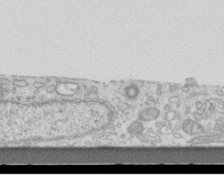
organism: Mouse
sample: Centriole in ependymal cells